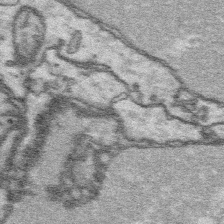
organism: Platynereis dumerilii